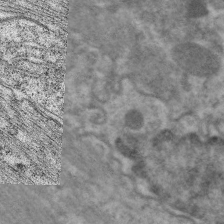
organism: C. elegans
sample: Pharynx